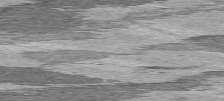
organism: C57BL Mouse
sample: Heart